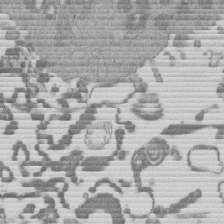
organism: Mouse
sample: Dividing mouse embryo 1 cell stage